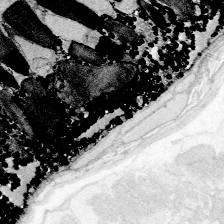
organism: Zebrafish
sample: Whole-Brain